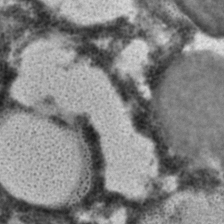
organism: C. elegans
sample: C. elegans embryo